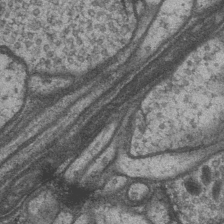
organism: Drosophila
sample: Optic medulla